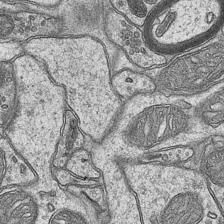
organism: Mouse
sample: CA1 Hippocampus